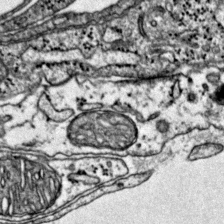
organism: Mouse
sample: Primary visual cortex